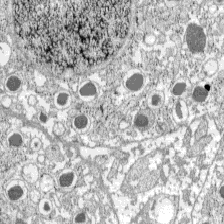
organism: C57BL Mouse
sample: Pancreatic islet